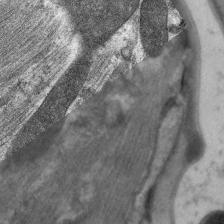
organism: C. elegans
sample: Pharynx